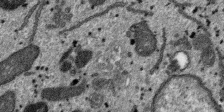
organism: Human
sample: Lung epithelial cells, uninfected (mock) control